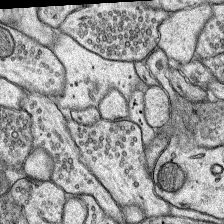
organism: Rat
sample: Hippocampus